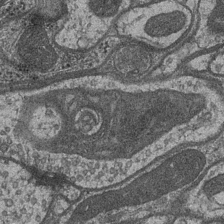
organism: Drosophila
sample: Optic medulla